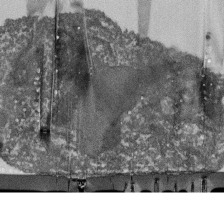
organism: Dictyostelium discoideum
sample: Dictyostelium multivesicular bodies